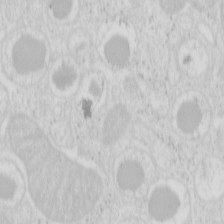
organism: Mouse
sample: Pancreas